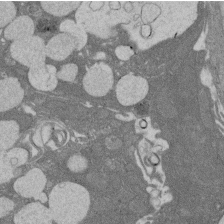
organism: Rat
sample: Salivary granule